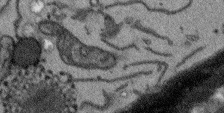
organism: Arabidopsis thaliana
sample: Root tip